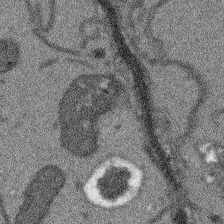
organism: Arabidopsis thaliana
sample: Root tip